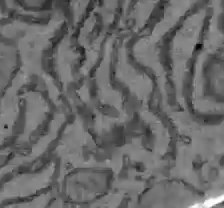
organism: C57BL Mouse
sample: Liver